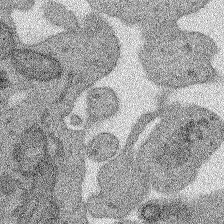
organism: Human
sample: HeLa cells